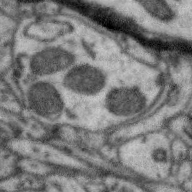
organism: Zebra finch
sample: Brain